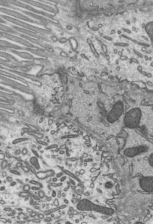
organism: Mouse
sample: Mouse epididymis efferent ductule cilia